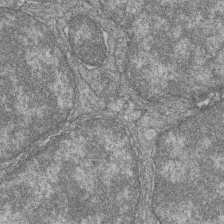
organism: Zebrafish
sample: Cilia; retinal pigment epithelium